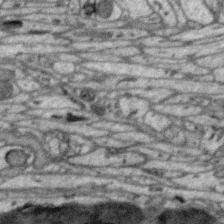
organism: Zebra finch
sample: Brain